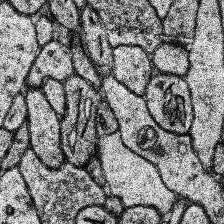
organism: Human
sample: Temporal Lobe